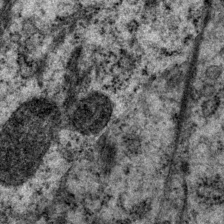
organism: P. pacificus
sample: Pharynx